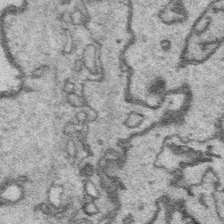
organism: Platynereis dumerilii